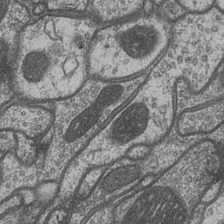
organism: Drosophila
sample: Optic medulla